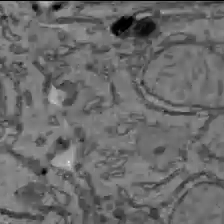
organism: C57BL Mouse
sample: Liver